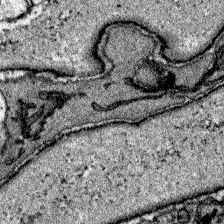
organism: Zebrafish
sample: Larval olfactory bulb